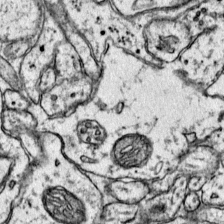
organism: Mouse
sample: Primary visual cortex